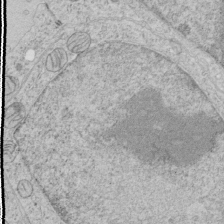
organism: Human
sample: Mitochondria in HCT116 cells